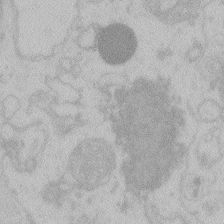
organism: Zebrafish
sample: Macrophage infected with Toxoplasma gondii